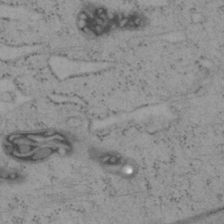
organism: Mouse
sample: OT-I killer T cells with ID8 ovarian cancer cells